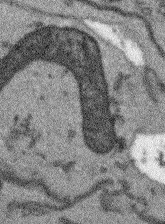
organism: Arabidopsis thaliana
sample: Root tip